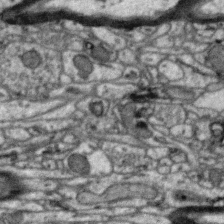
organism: Zebra finch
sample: Brain